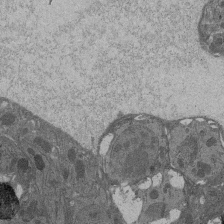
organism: Drosophila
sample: Antenna